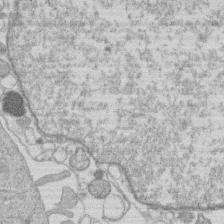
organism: Human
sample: Macrophage cells